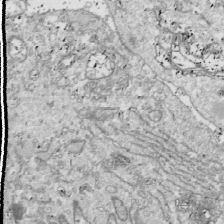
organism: Drosophila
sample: Cell division; meiosis; drosophila spermatocytes